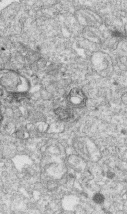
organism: Human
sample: HeLa cell HIV synapse